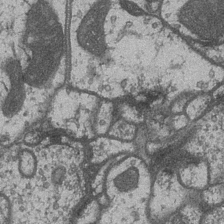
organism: Drosophila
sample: Optic medulla